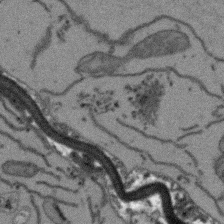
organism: Arabidopsis thaliana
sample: Root tip